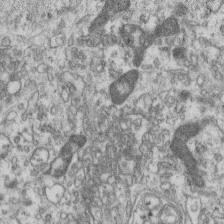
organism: Mouse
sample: Centriole in ependymal cells